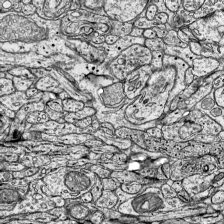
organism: Mouse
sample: Visual Cortex